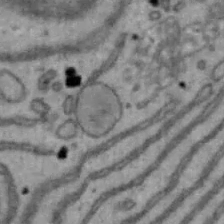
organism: Mouse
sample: Liver